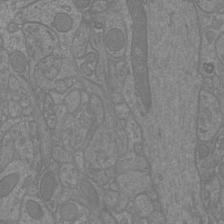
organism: Mouse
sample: Cortical neurons